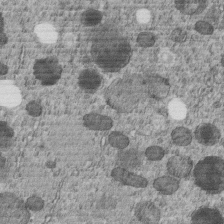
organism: C. elegans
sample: C. elegans embryo early stage